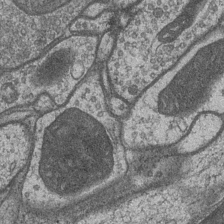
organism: Drosophila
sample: Optic medulla